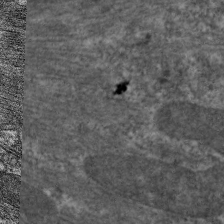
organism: C. elegans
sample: Pharynx